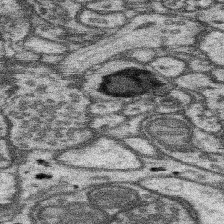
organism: Mouse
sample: Somatosensory cortex neuropil